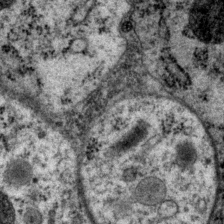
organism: P. pacificus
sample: Pharynx